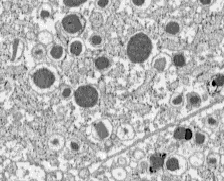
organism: C57BL Mouse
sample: Pancreatic islet